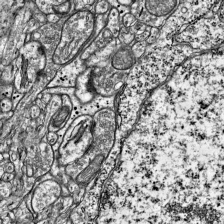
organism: Mouse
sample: Visual Cortex